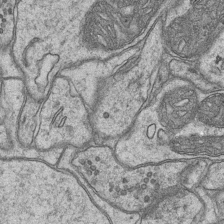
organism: Mouse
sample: CA1 Hippocampus